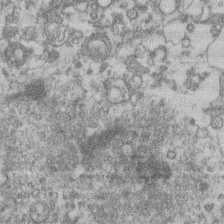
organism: Mouse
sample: T cell stromal cell synapse